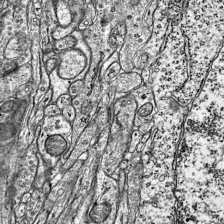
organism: Mouse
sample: Visual Cortex